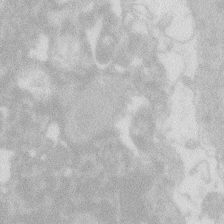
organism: Zebrafish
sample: Macrophage